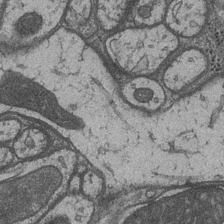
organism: Drosophila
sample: Optic medulla